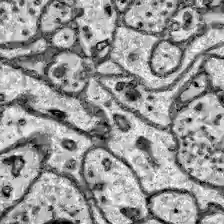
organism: Zebrafish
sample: Brain